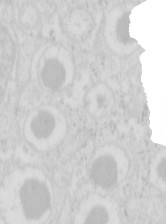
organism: Mouse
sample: Pancreas